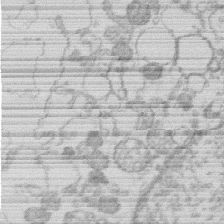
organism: Human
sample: Macrophage cells